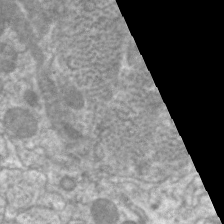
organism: C. elegans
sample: Pharynx